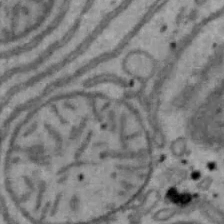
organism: Mouse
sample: Liver